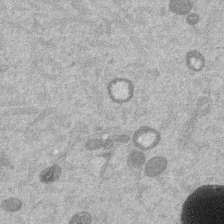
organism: Mouse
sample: Dividing mouse embryo 1 cell stage